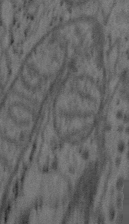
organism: Human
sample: HeLa cells